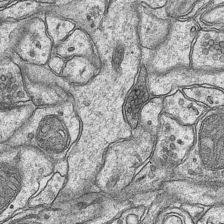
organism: Mouse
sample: CA1 Hippocampus